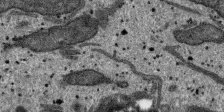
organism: Human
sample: Lung epithelial cells, uninfected (mock) control